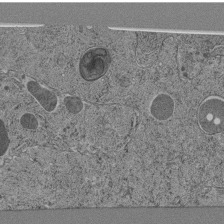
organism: C. elegans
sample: C. elegans pharynx